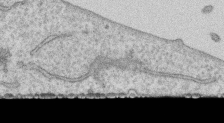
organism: Human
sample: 1205lu cells